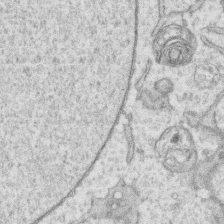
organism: Human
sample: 1205lu cells